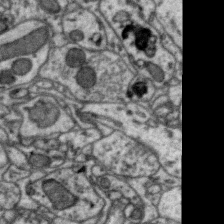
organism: Zebra finch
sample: Brain